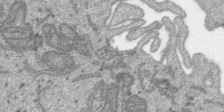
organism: Human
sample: Lung epithelial cells infected with SARS-CoV-2